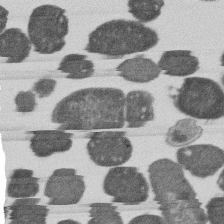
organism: E. coli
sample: Bacterial nucleoid